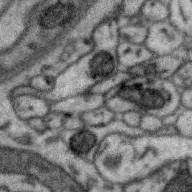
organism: Zebra finch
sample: Brain